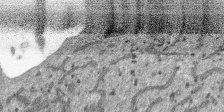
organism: Human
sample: Lung epithelial cells infected with SARS-CoV-2